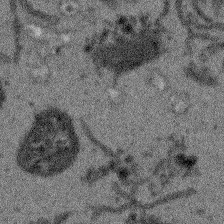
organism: Arabidopsis thaliana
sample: Root tip